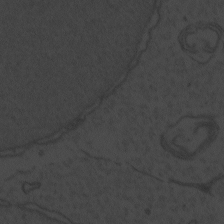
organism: Zebrafish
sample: Macrophage infected with Toxoplasma gondii